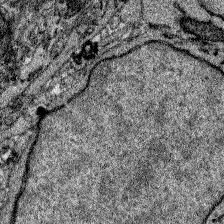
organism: Zebrafish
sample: Larval olfactory bulb